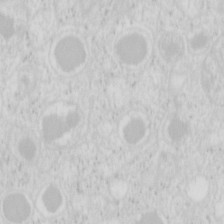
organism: Mouse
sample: Pancreas